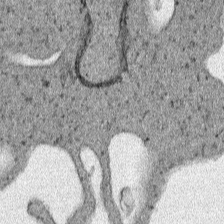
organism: Human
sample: Mitochondria in HCT116 cells